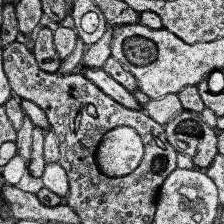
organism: Human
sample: Temporal Lobe